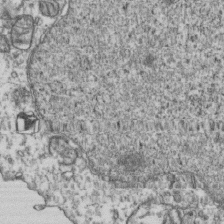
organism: Human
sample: Activated Jurkat CD4+ T cells